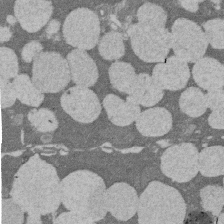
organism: Rat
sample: Salivary granule